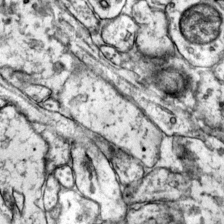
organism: Mouse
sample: Primary visual cortex